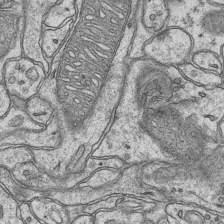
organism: Mouse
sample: CA1 Hippocampus